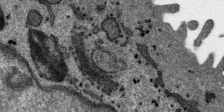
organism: Human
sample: Lung epithelial cells, uninfected (mock) control